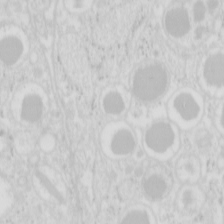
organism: Mouse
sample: Pancreas